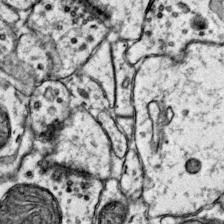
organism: Mouse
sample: Primary visual cortex